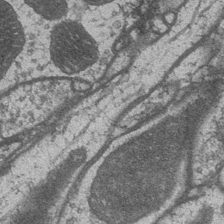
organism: Drosophila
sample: Optic medulla